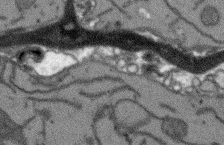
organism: Arabidopsis thaliana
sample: Root tip